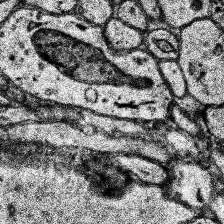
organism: Human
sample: Temporal Lobe